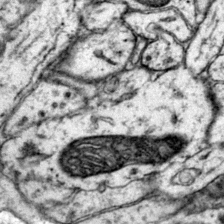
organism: Mouse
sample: Primary visual cortex